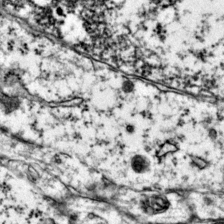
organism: Mouse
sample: Primary visual cortex